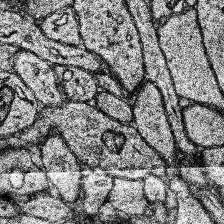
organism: Human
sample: Temporal Lobe